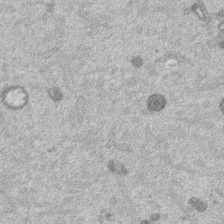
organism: Mouse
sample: Dividing mouse embryo 1 cell stage